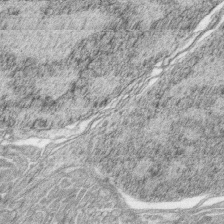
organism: Zebrafish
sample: synaptic ribbons in rod cells and cone cells